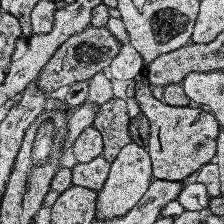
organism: Human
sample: Temporal Lobe